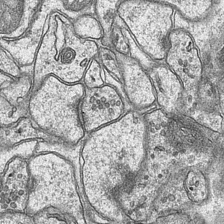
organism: Mouse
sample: CA1 Hippocampus